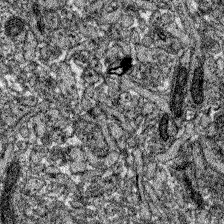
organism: Zebrafish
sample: Larval olfactory bulb